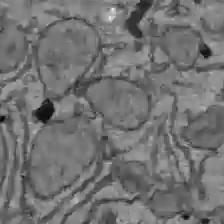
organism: C57BL Mouse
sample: Liver